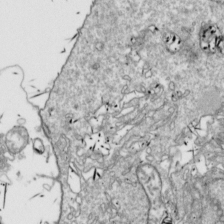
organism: Drosophila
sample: Cell division; meiosis; drosophila spermatocytes